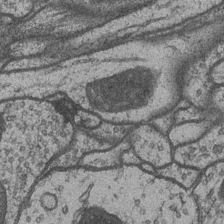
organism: Drosophila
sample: Optic medulla